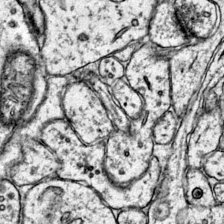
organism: Mouse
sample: Primary visual cortex